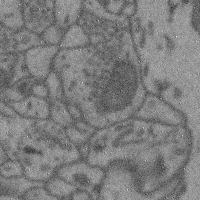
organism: Mouse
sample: Cerebral cortex